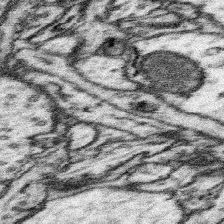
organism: Mouse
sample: Somatosensory cortex neuropil